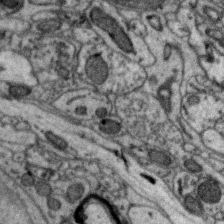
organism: Zebra finch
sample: Brain